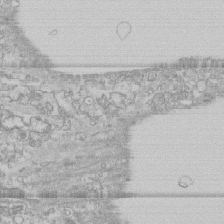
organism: Human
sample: CRL-1474